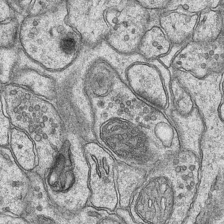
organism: Mouse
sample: CA1 Hippocampus